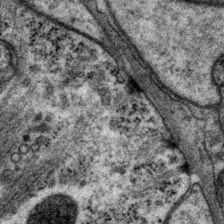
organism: P. pacificus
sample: Pharynx